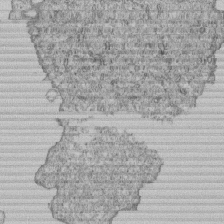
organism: Human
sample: MDA-MB-231 cells